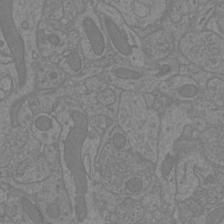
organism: Mouse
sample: Cortical neurons